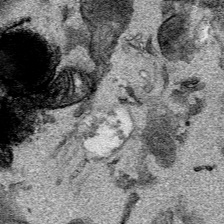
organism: Mouse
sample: Cancer cell death in ED-1 cells